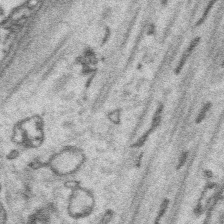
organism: Platynereis dumerilii